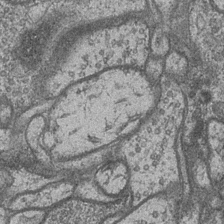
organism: Drosophila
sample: Optic medulla